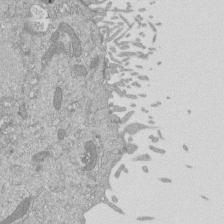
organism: Mouse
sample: ED-1 cell nuclei; centrioles